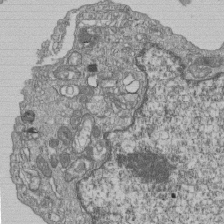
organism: Human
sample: MDA-MB-231 cells